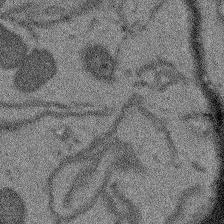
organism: Arabidopsis thaliana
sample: Root tip